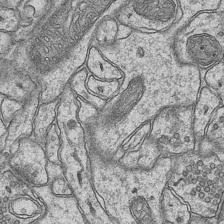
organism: Mouse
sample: CA1 Hippocampus